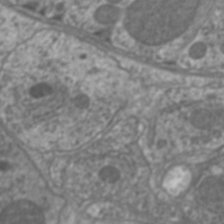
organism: C. elegans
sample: Pharynx